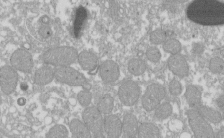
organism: Xenopus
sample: Cilia; centrioles in frog embryo cells